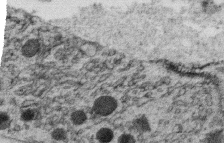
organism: C. elegans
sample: C. elegans oocyte; sperm cells